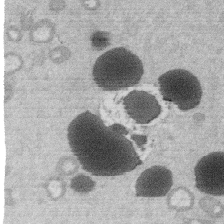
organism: Mouse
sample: Dividing mouse embryo 1 cell stage